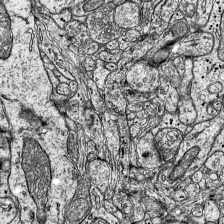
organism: Mouse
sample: Visual Cortex